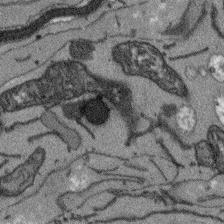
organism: Arabidopsis thaliana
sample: Root tip